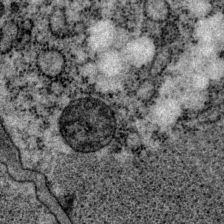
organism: P. pacificus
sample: Pharynx